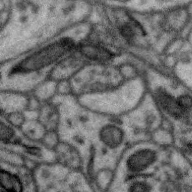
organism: Zebra finch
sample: Brain